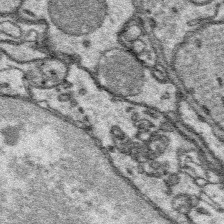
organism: Platynereis dumerilii